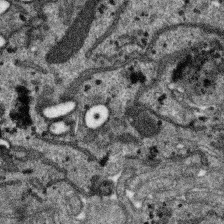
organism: Human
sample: Lung epithelial cells infected with SARS-CoV-2